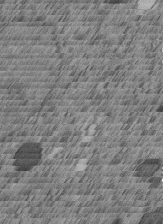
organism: C. elegans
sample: C. elegans embryo early stage